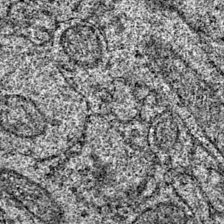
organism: Mouse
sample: Primary visual cortex